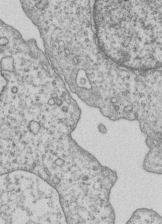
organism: Human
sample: MDA-MB-231 cells